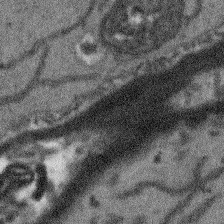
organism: Arabidopsis thaliana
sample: Root tip